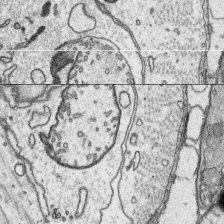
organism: Platynereis dumerilii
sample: Parapodia